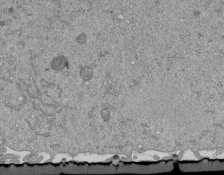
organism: Mouse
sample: ED-1 cell nuclei; centrioles